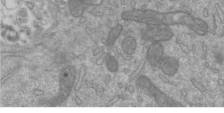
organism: Mouse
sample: ED-1 cell nuclei; centrioles